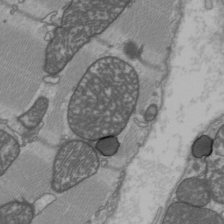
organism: C57BL Mouse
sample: Heart